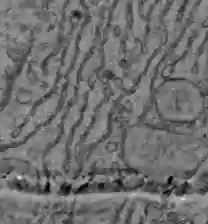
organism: C57BL Mouse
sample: Liver